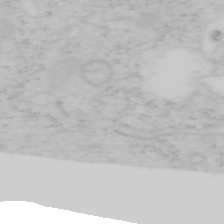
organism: Mouse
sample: OT-I killer T cells with ID8 ovarian cancer cells